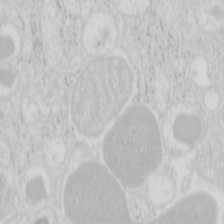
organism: Mouse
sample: Pancreas